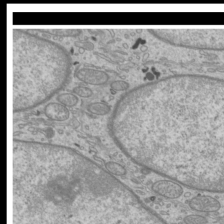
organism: Mouse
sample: Cilia; mouse epididymis